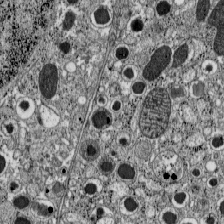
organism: C57BL Mouse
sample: Pancreatic islet